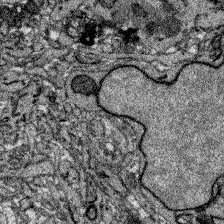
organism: Zebrafish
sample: Larval olfactory bulb